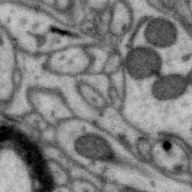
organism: Zebra finch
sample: Brain